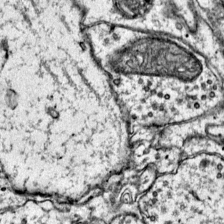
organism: Mouse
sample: Primary visual cortex